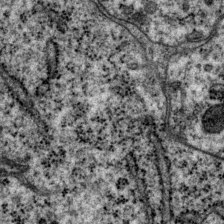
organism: P. pacificus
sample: Pharynx